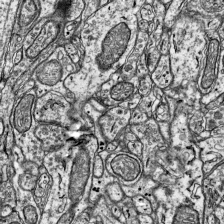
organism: Mouse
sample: Visual Cortex